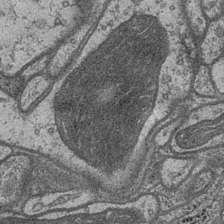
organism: Drosophila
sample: Optic medulla